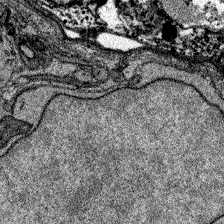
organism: Zebrafish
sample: Larval olfactory bulb